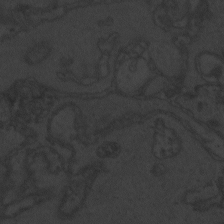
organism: Zebrafish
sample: Macrophage infected with Toxoplasma gondii